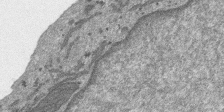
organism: Human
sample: Lung epithelial cells infected with SARS-CoV-2